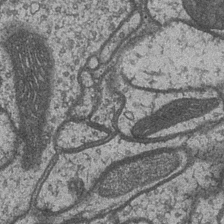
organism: Drosophila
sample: Optic medulla